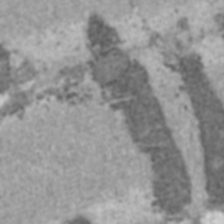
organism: C57BL Mouse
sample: Heart